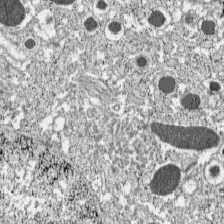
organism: C57BL Mouse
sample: Pancreatic islet